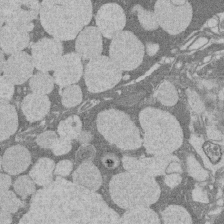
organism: Rat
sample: Salivary granule